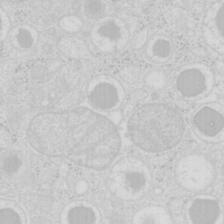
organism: Mouse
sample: Pancreas